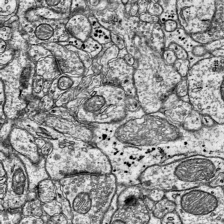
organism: Mouse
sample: Visual Cortex